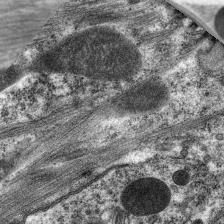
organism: C. elegans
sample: Pharynx